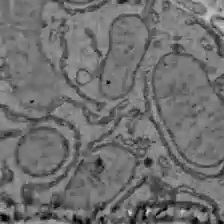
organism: C57BL Mouse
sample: Liver